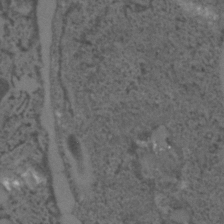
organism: C. elegans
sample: C. elegans embryo